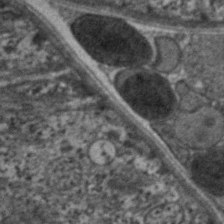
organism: C. elegans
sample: Pharynx